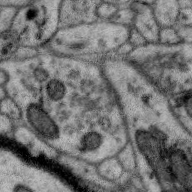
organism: Zebra finch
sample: Brain